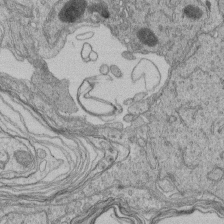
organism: Human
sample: Retinal organoid Rod and Cone cells